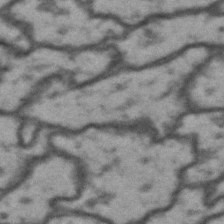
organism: Drosophila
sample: Brain